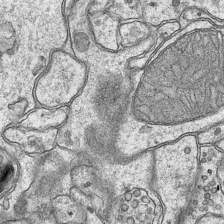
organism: Mouse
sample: CA1 Hippocampus